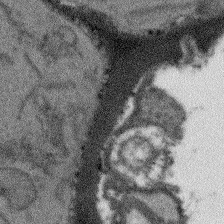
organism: Arabidopsis thaliana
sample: Root tip